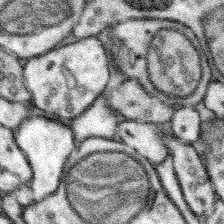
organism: Mouse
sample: Somatosensory cortex neuropil